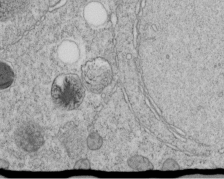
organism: C. elegans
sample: C. elegans embryo early stage